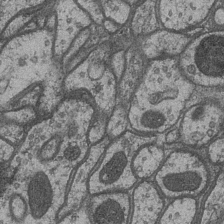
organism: Drosophila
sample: Optic medulla